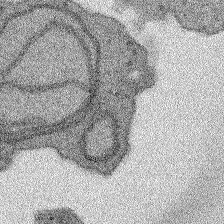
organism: Human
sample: HeLa cells